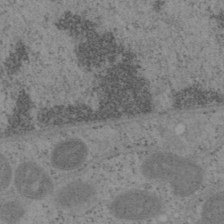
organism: Mouse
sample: OT-I killer T cells with ID8 ovarian cancer cells